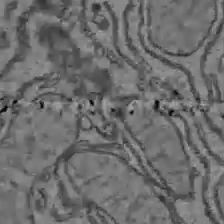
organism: C57BL Mouse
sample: Liver